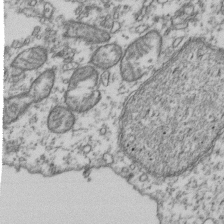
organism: Human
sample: Activated Jurkat CD4+ T cells